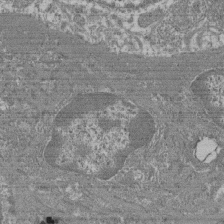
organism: Mouse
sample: Glomerulus